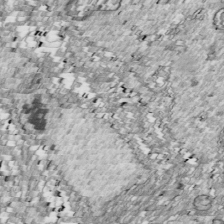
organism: Drosophila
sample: Cell division; meiosis; drosophila spermatocytes